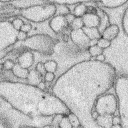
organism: Rabbit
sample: Retina